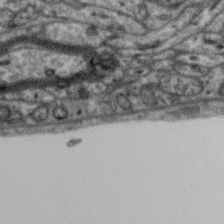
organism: Zebra finch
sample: Brain